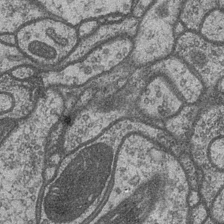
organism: Drosophila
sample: Optic medulla